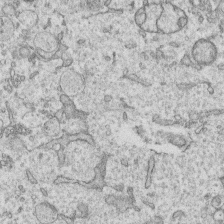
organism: Human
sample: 1205lu cells